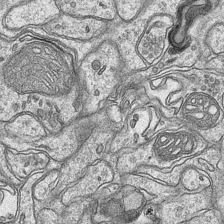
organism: Mouse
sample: CA1 Hippocampus